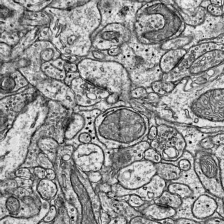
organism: Mouse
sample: Visual Cortex